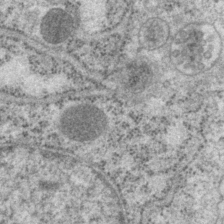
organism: P. pacificus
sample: Pharynx